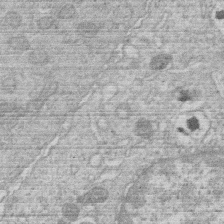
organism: Human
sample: Macrophage cells